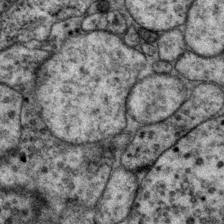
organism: P. pacificus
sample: Pharynx